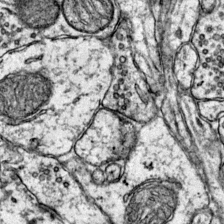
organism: Mouse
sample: Primary visual cortex